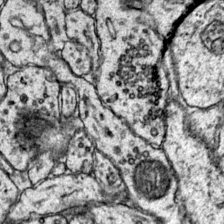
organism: Mouse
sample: Primary visual cortex